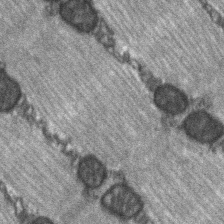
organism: C57BL Mouse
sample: Soleus